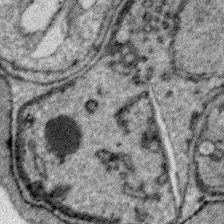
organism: Plasmodium falciparum